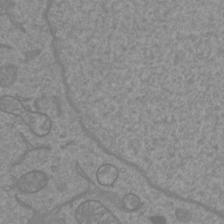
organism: Mouse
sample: Cortical neurons